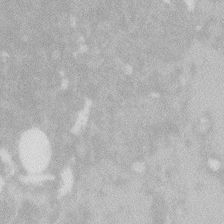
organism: Zebrafish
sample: Macrophage